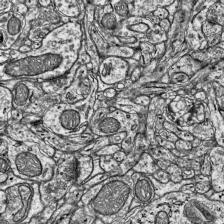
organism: Mouse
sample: Visual Cortex